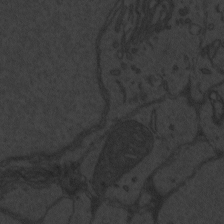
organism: Zebrafish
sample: Macrophage infected with Toxoplasma gondii